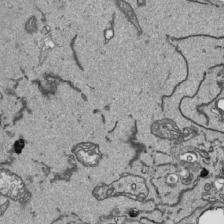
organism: Human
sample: Mitochondria in HCT116 cells